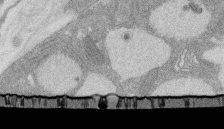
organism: Rat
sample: Salivary granule